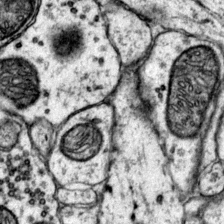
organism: Mouse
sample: Primary visual cortex